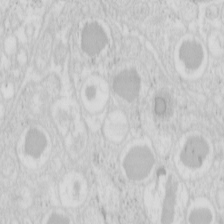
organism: Mouse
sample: Pancreas